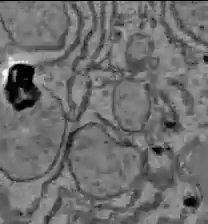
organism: C57BL Mouse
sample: Liver